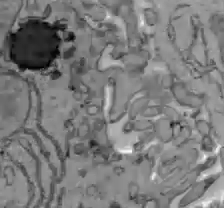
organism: C57BL Mouse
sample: Liver